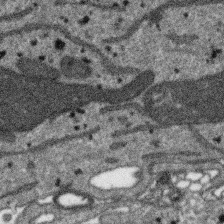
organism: Human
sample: Lung epithelial cells infected with SARS-CoV-2